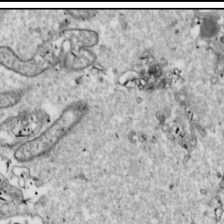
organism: Drosophila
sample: Cell division; meiosis; drosophila spermatocytes